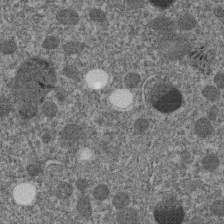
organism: C. elegans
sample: C. elegans embryo early stage